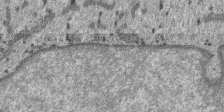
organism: Human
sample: Lung epithelial cells infected with SARS-CoV-2